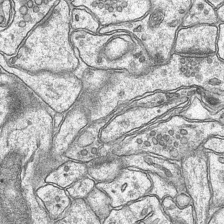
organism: Mouse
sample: CA1 Hippocampus